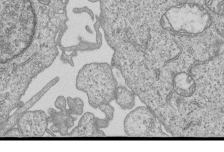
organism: Human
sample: MDA-MB-231 cells